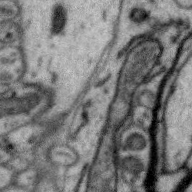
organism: Zebra finch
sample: Brain